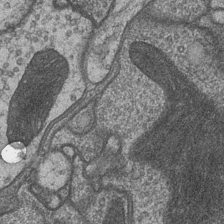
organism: Drosophila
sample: Optic medulla